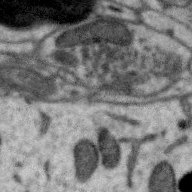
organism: Zebra finch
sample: Brain